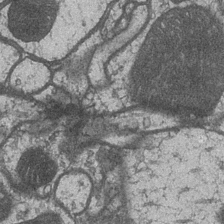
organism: Drosophila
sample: Optic medulla